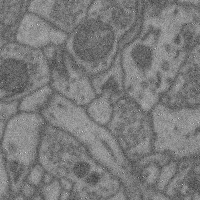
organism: Mouse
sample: Cerebral cortex